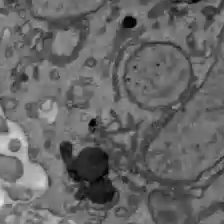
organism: C57BL Mouse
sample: Liver